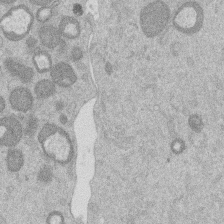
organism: Mouse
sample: Dividing mouse embryo 1 cell stage